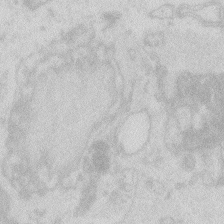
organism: Zebrafish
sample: Macrophage